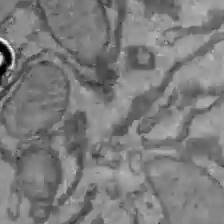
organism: C57BL Mouse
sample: Liver